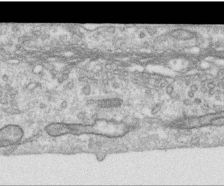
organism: Human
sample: Centriole in RPE cells